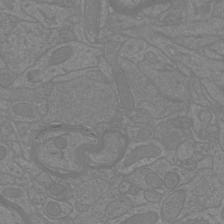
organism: Mouse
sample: Cortical neurons